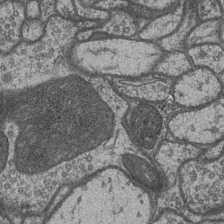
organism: Drosophila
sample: Optic medulla